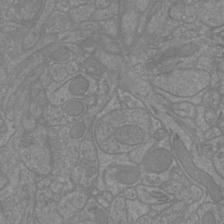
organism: Mouse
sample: Cortical neurons